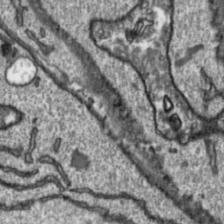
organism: Toxoplasma gondii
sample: Parasites in a vacuole inside a host cell